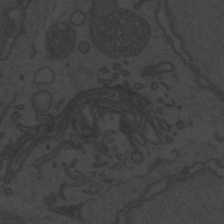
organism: Zebrafish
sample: Macrophage infected with Toxoplasma gondii